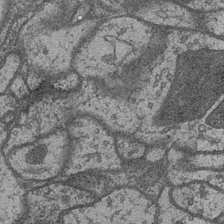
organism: Drosophila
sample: Optic medulla